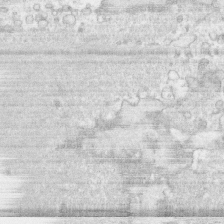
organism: Human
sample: CRL-1474